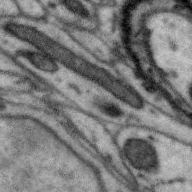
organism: Zebra finch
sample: Brain